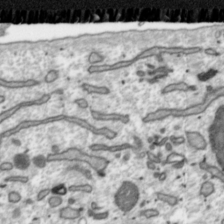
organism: Toxoplasma gondii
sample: Parasites in a vacuole inside a host cell